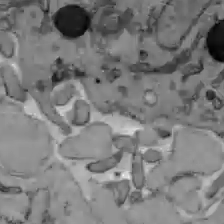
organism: C57BL Mouse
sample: Liver